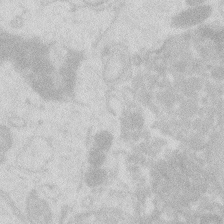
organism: Zebrafish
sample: Macrophage